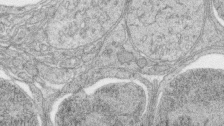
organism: Zebrafish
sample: synaptic ribbons in rod cells and cone cells